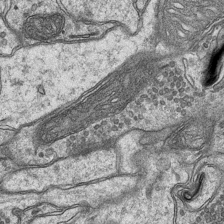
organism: Mouse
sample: CA1 Hippocampus